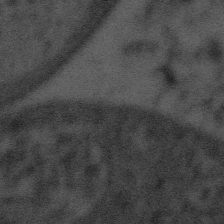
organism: Tuwongella immobilis